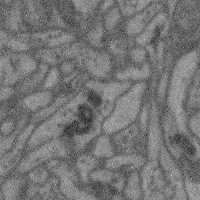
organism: Mouse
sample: Cerebral cortex